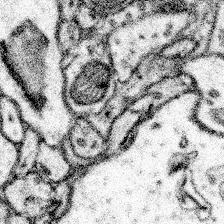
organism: Mouse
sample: Somatosensory cortex neuropil